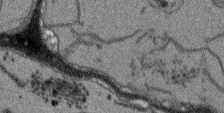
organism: Arabidopsis thaliana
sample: Root tip